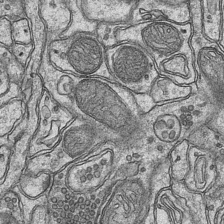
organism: Mouse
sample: CA1 Hippocampus